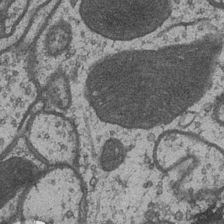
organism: Drosophila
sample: Optic medulla